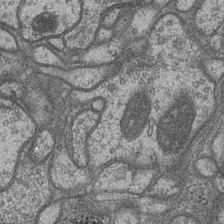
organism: Drosophila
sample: Optic medulla